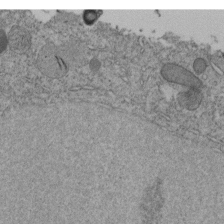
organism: C. elegans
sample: C. elegans embryo early stage